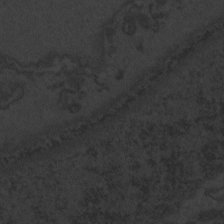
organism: Zebrafish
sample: Macrophage infected with Toxoplasma gondii